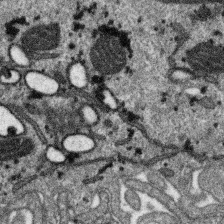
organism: Human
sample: Lung epithelial cells infected with SARS-CoV-2